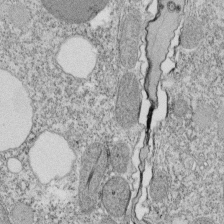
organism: Tetrahymena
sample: Cilia in tetrahymena